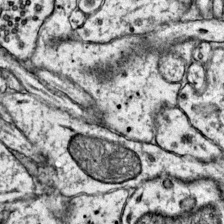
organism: Mouse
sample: Primary visual cortex